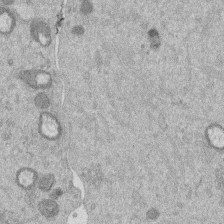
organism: Mouse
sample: Dividing mouse embryo 1 cell stage